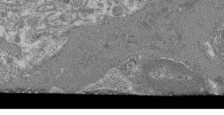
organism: Mouse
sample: Glomerulus